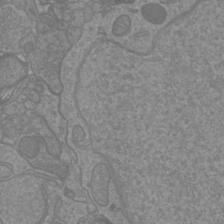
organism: Mouse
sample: Cortical neurons